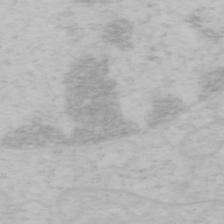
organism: Mouse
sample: OT-I killer T cells with ID8 ovarian cancer cells